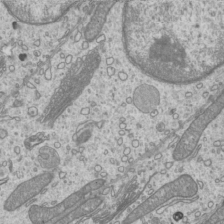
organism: Mouse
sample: Cilia; mouse epididymis